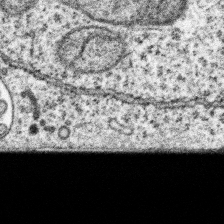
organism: Human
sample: HeLa cells